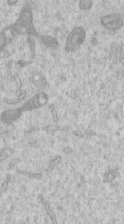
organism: Human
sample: Centriole in RPE cells